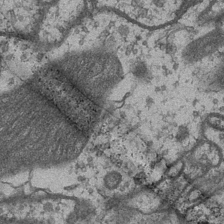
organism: Drosophila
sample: Optic medulla